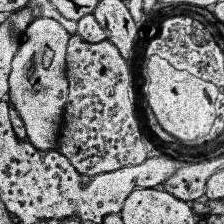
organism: Human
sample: Temporal Lobe